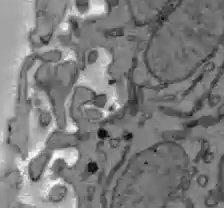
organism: C57BL Mouse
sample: Liver